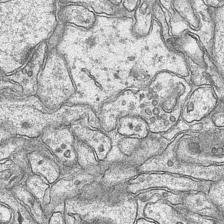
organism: Mouse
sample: CA1 Hippocampus